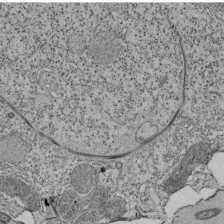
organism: Tetrahymena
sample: Cilia in tetrahymena